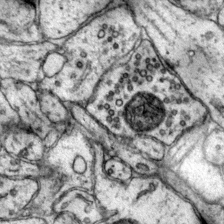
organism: Mouse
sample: Primary visual cortex